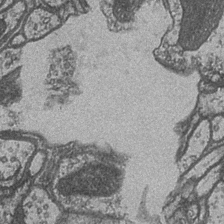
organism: Drosophila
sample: Optic medulla